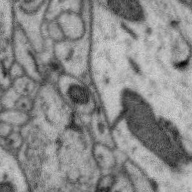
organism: Zebra finch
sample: Brain